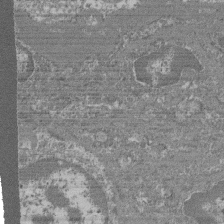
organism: Mouse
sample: Glomerulus